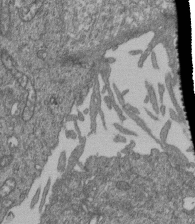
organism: Human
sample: Retinal organoid Rod and Cone cells